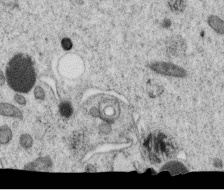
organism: C. elegans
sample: C. elegans oocyte; sperm cells